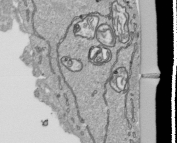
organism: Human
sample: Mitochondria in HCT116 cells